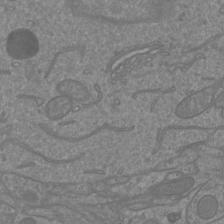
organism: Mouse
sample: Cortical neurons